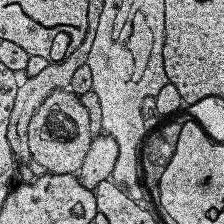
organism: Human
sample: Temporal Lobe